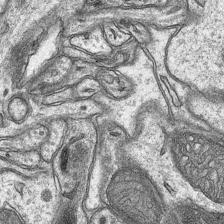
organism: Mouse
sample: CA1 Hippocampus